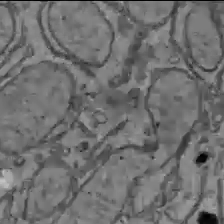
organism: C57BL Mouse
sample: Liver